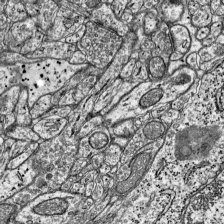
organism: Mouse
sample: Visual Cortex